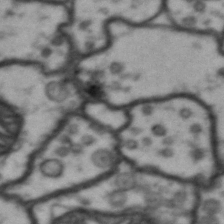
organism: Drosophila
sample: Brain